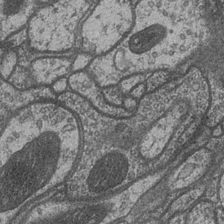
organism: Drosophila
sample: Optic medulla